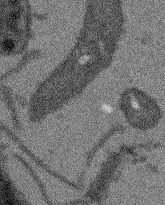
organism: Arabidopsis thaliana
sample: Root tip